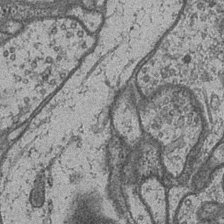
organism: Drosophila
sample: Optic medulla